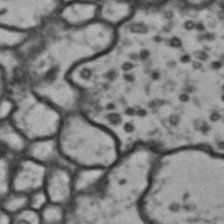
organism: Drosophila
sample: Brain